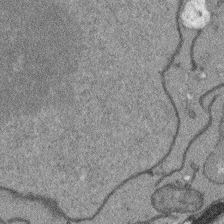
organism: Arabidopsis thaliana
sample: Root tip